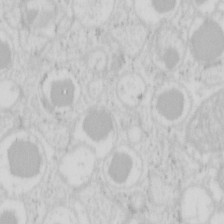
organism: Mouse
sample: Pancreas